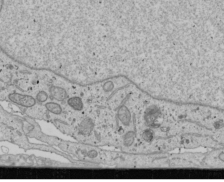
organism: Human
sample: Mitochondria in U2OS cells